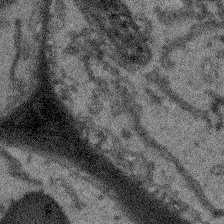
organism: Arabidopsis thaliana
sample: Root tip